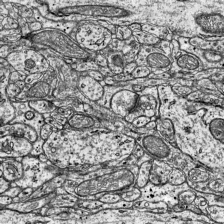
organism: Mouse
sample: Visual Cortex